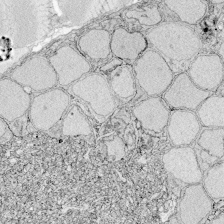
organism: Zebrafish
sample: Whole-Brain